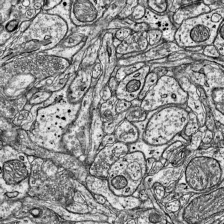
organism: Mouse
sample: Visual Cortex